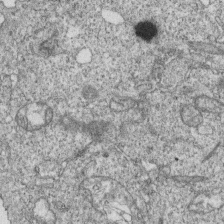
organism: Human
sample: HeLa cell HIV synapse